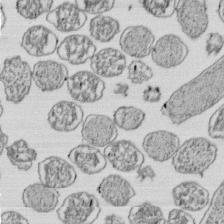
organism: E. coli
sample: Bacterial nucleoid